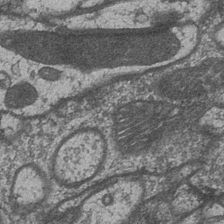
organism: Drosophila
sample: Optic medulla